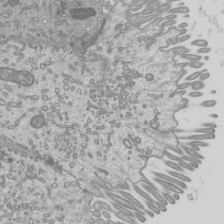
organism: Mouse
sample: Cilia; mouse epididymis